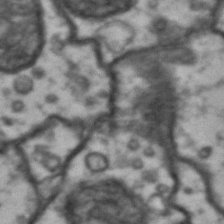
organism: Drosophila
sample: Brain